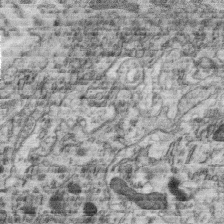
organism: C. elegans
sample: C. elegans oocyte; sperm cells